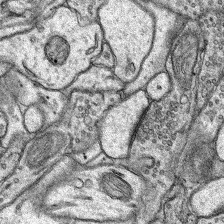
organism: Rat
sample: Hippocampus